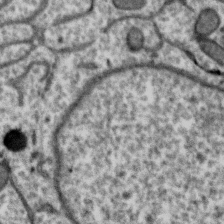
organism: Zebra finch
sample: Brain